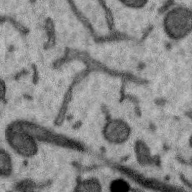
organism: Zebra finch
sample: Brain